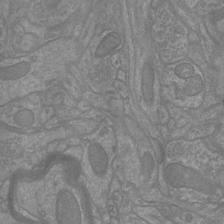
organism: Mouse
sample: Cortical neurons